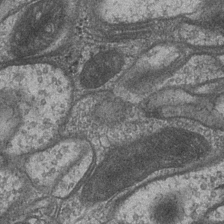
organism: Drosophila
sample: Optic medulla